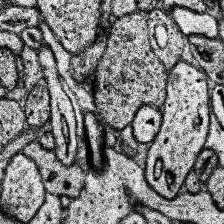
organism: Human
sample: Temporal Lobe